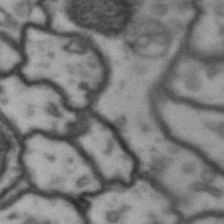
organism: Drosophila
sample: Brain